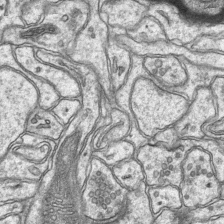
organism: Mouse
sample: CA1 Hippocampus